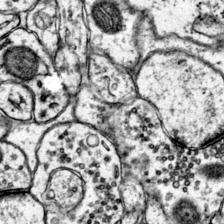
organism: Mouse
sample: Primary visual cortex